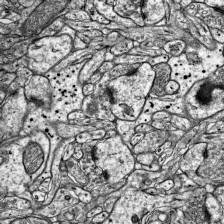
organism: Mouse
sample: Visual Cortex